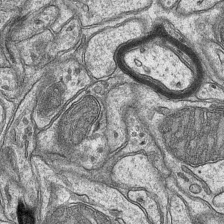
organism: Mouse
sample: CA1 Hippocampus